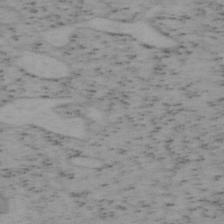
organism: Mouse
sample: OT-I killer T cells with ID8 ovarian cancer cells